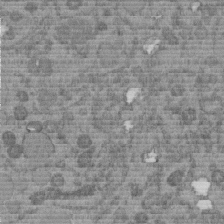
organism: C. elegans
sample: C. elegans embryo early stage